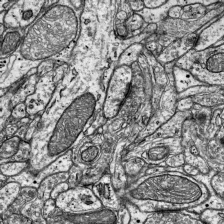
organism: Mouse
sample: Visual Cortex